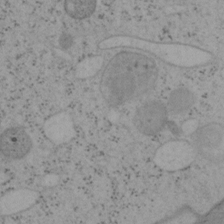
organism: Mouse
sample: OT-I killer T cells with ID8 ovarian cancer cells